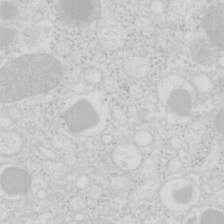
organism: Mouse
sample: Pancreas